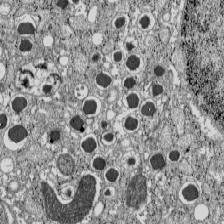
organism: C57BL Mouse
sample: Pancreatic islet